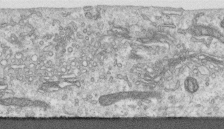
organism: Human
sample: Centriole in RPE cells